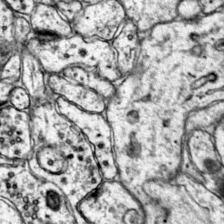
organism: Mouse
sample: Primary visual cortex